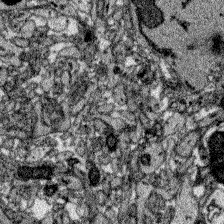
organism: Zebrafish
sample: Larval olfactory bulb